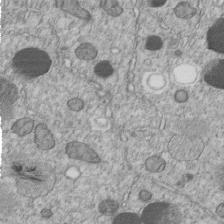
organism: C. elegans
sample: C. elegans embryo early stage